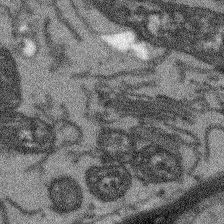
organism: Arabidopsis thaliana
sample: Root tip